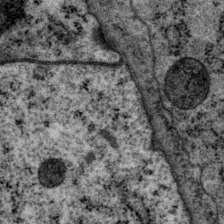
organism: P. pacificus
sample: Pharynx